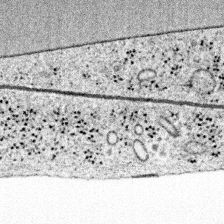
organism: Human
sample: HeLa cells